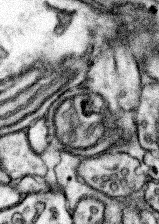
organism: Mouse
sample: Somatosensory cortex neuropil